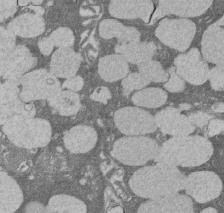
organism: Rat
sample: Salivary granule